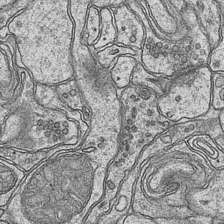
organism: Mouse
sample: CA1 Hippocampus